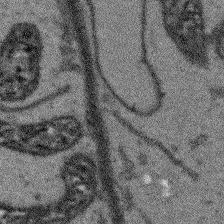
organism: Arabidopsis thaliana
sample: Root tip